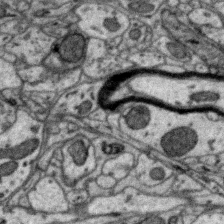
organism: Zebra finch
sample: Brain